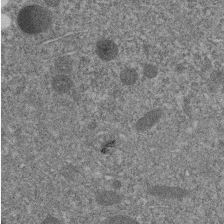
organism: C. elegans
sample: C. elegans embryo early stage